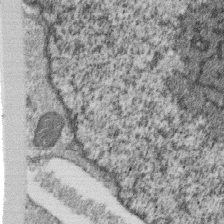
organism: African green monkey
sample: Vero E6 cells infected with SARS-CoV-2